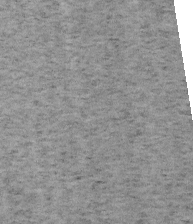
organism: Mouse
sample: OT-I killer T cells with ID8 ovarian cancer cells